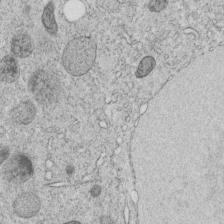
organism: C. elegans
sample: C. elegans embryo early stage